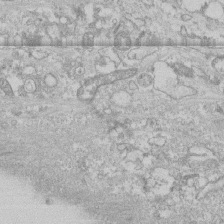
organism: Human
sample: CRL-1474